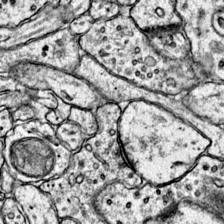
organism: Mouse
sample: Primary visual cortex